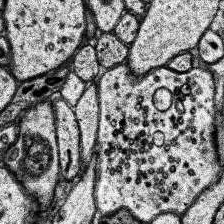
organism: Human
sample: Temporal Lobe